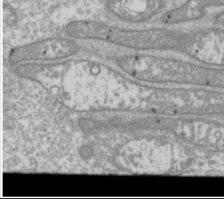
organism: Drosophila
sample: Cell division; meiosis; drosophila spermatocytes